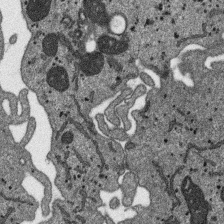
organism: Human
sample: Lung epithelial cells infected with SARS-CoV-2